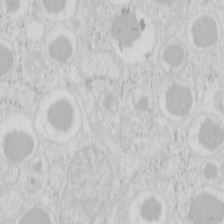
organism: Mouse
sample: Pancreas